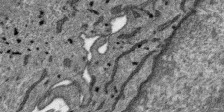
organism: Human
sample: Lung epithelial cells, uninfected (mock) control